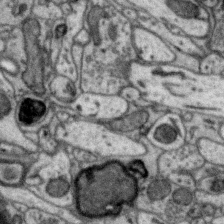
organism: Zebra finch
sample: Brain